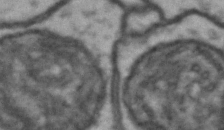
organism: Drosophila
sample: Brain